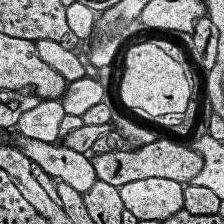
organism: Human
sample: Temporal Lobe